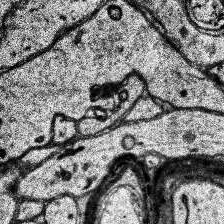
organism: Human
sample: Temporal Lobe